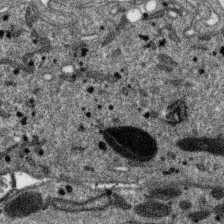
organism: Human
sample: Lung epithelial cells infected with SARS-CoV-2